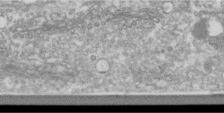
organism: Human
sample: Centriole in RPE cells